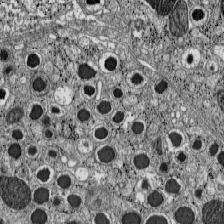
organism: C57BL Mouse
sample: Pancreatic islet